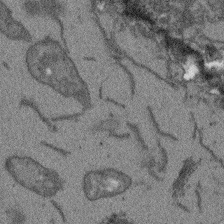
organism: Arabidopsis thaliana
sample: Root tip